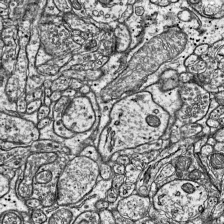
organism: Mouse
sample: Visual Cortex